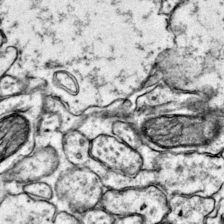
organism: Mouse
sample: Primary visual cortex